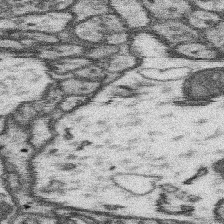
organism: Mouse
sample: Somatosensory cortex neuropil